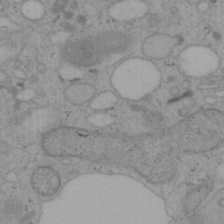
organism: Mouse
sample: OT-I killer T cells with ID8 ovarian cancer cells